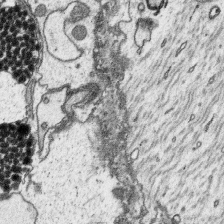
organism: Platynereis dumerilii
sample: Parapodia